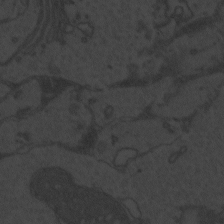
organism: Zebrafish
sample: Macrophage infected with Toxoplasma gondii